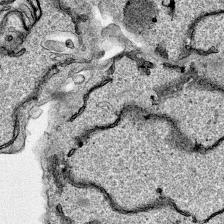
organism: Human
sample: Mitochondria in HCT116 cells